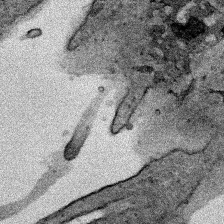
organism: Human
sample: Mitochondria in HCT116 cells